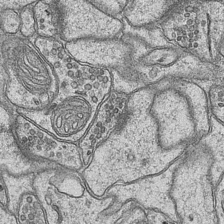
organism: Mouse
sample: CA1 Hippocampus